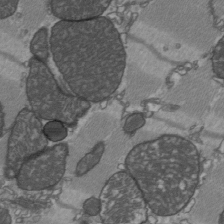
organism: C57BL Mouse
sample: Heart